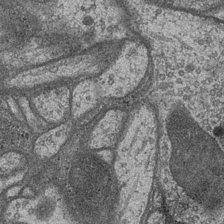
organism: Drosophila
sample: Optic medulla